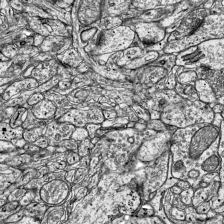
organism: Mouse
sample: Visual Cortex